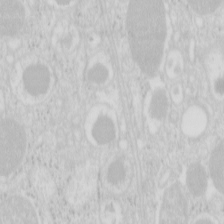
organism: Mouse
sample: Pancreas